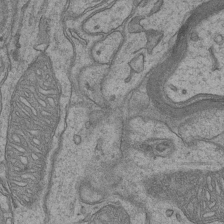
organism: Mouse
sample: CA1 Hippocampus